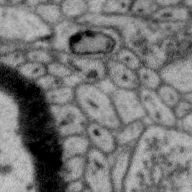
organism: Zebra finch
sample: Brain